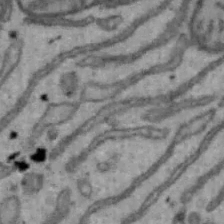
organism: Mouse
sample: Liver